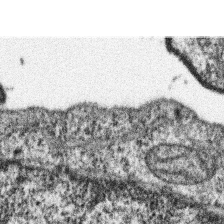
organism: Human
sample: HeLa cells